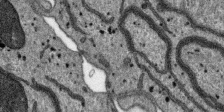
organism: Human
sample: Lung epithelial cells, uninfected (mock) control